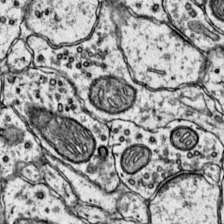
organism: Mouse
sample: Primary visual cortex